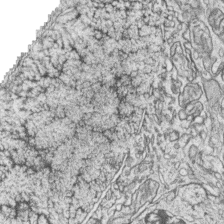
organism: Zebrafish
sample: synaptic ribbons in rod cells and cone cells